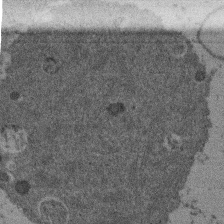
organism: Mouse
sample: Dividing mouse embryo 1 cell stage